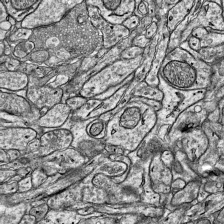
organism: Mouse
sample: Visual Cortex